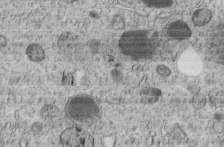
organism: C. elegans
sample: C. elegans embryo early stage